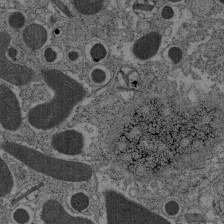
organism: C57BL Mouse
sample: Pancreatic islet